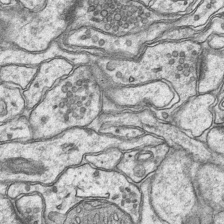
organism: Mouse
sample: CA1 Hippocampus